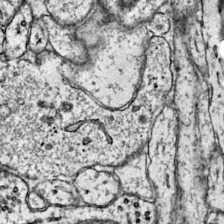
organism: Mouse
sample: Primary visual cortex